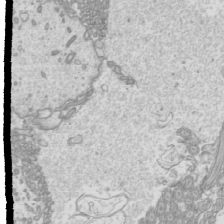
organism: Mouse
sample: Cilia; mouse epididymis